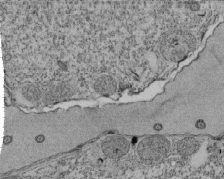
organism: Tetrahymena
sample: Cilia in tetrahymena